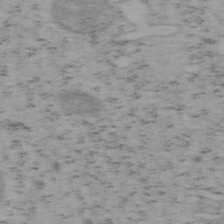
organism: Mouse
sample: OT-I killer T cells with ID8 ovarian cancer cells